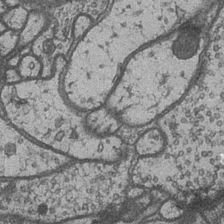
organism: Drosophila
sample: Optic medulla